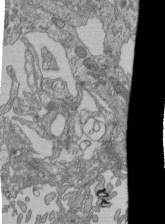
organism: Human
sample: Retinal organoid Rod and Cone cells